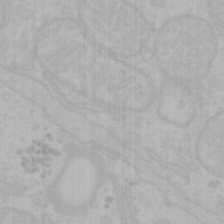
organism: Mouse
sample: Choroid plexus